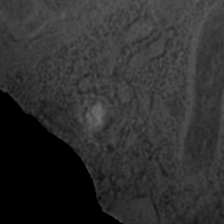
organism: C. elegans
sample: C. elegans embryo